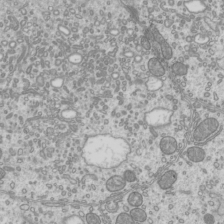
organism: Mouse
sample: Cilia; mouse epididymis